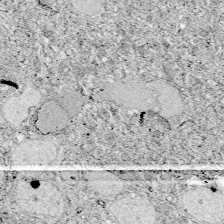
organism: Zebrafish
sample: Whole-Brain